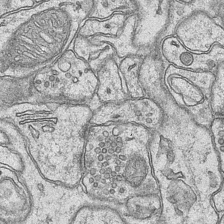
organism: Mouse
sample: CA1 Hippocampus